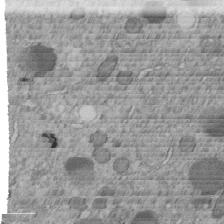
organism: C. elegans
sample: C. elegans embryo early stage